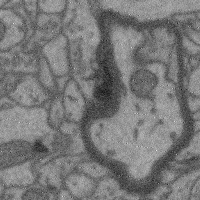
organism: Mouse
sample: Cerebral cortex